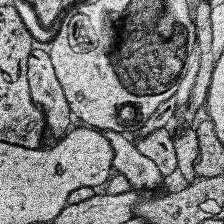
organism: Human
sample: Temporal Lobe